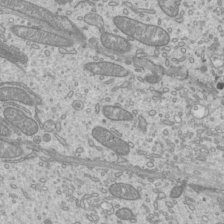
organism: Mouse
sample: Cilia; mouse epididymis